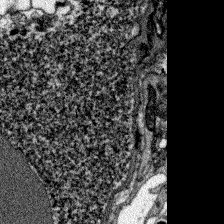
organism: Zebrafish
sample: Larval olfactory bulb